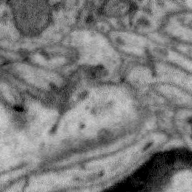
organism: Zebra finch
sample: Brain